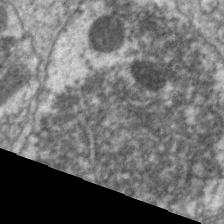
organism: C. elegans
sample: Pharynx